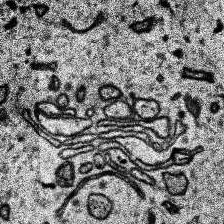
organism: Human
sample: Temporal Lobe